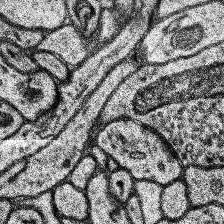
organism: Human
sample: Temporal Lobe